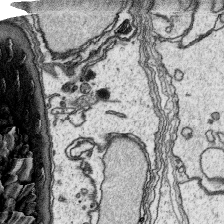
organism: Platynereis dumerilii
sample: Parapodia